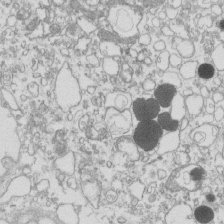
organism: Mouse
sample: Macrophages